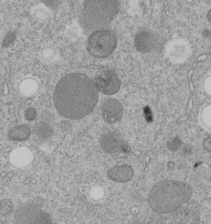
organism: C. elegans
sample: C. elegans embryo early stage